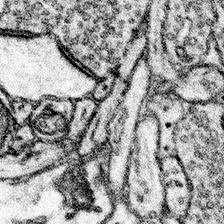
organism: Mouse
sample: Somatosensory cortex neuropil